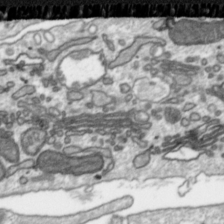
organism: Toxoplasma gondii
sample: Parasites in a vacuole inside a host cell